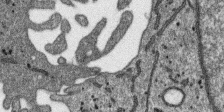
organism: Human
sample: Lung epithelial cells infected with SARS-CoV-2